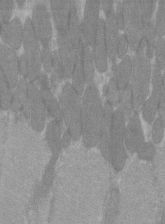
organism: C57BL Mouse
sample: Tibialis anterior muscle cell